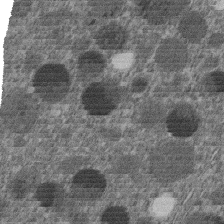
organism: C. elegans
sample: C. elegans embryo early stage